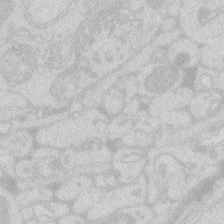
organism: Zebrafish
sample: Macrophage